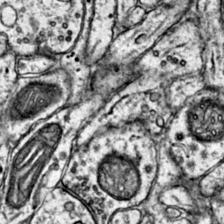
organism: Mouse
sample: Primary visual cortex